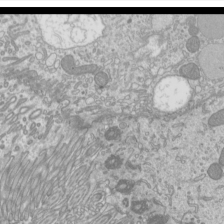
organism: Mouse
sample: Cilia; mouse epididymis